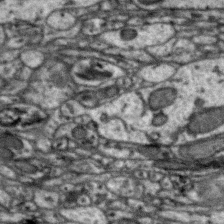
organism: Zebra finch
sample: Brain